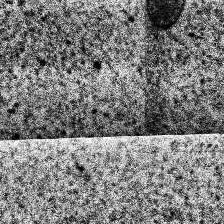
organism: Human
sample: Temporal Lobe